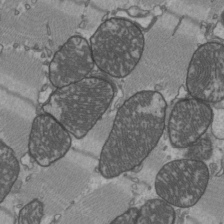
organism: C57BL Mouse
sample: Heart